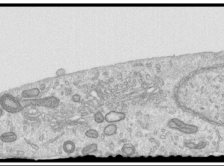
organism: Human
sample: Centriole in RPE cells